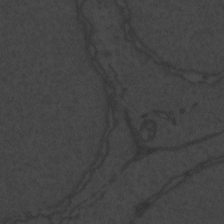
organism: Zebrafish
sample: Macrophage infected with Toxoplasma gondii